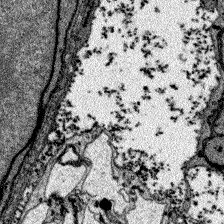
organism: Zebrafish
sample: Larval olfactory bulb